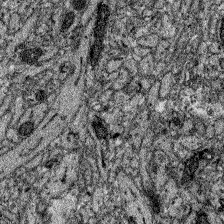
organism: Zebrafish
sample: Larval olfactory bulb